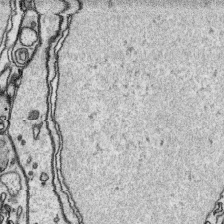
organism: Platynereis dumerilii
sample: Parapodia